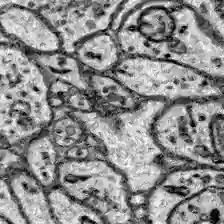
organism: Zebrafish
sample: Brain